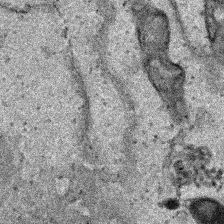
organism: Human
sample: Mitochondria in HCT116 cells